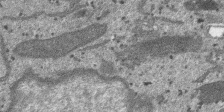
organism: Human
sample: Lung epithelial cells infected with SARS-CoV-2